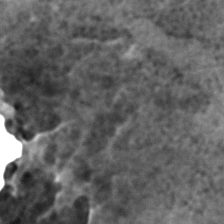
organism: C. elegans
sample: C. elegans embryo